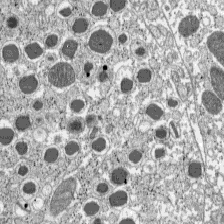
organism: C57BL Mouse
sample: Pancreatic islet